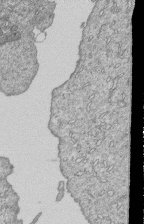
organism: Human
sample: MDA-MB-231 cells